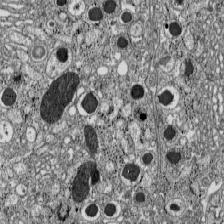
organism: C57BL Mouse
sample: Pancreatic islet